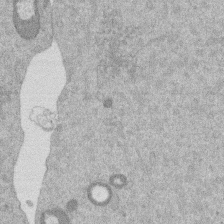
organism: Mouse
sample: Dividing mouse embryo 1 cell stage